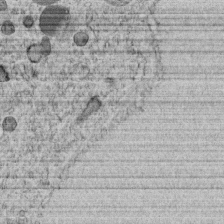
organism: C. elegans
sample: C. elegans embryo early stage